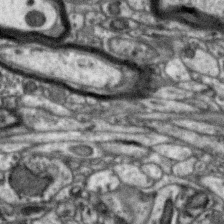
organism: Zebra finch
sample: Brain